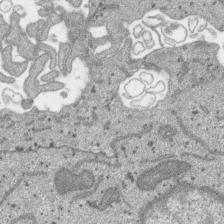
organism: Human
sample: Lung epithelial cells infected with SARS-CoV-2